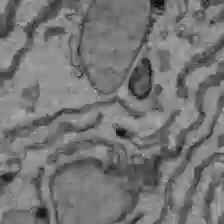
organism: C57BL Mouse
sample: Liver